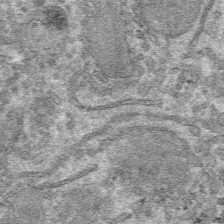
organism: Mouse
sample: Mouse hepatocytes